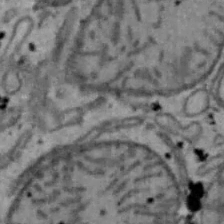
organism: Mouse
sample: Liver